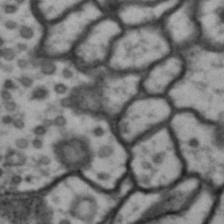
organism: Drosophila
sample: Brain